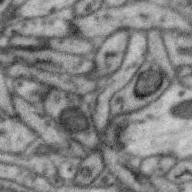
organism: Zebra finch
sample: Brain